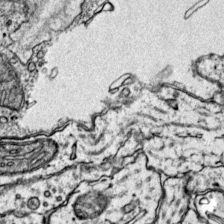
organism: Mouse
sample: Primary visual cortex